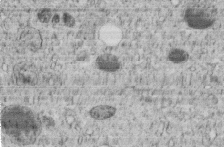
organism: C. elegans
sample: C. elegans embryo early stage